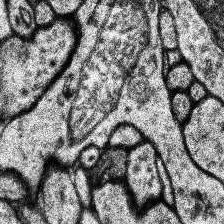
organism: Human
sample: Temporal Lobe